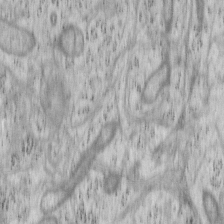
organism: Human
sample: HeLa cells